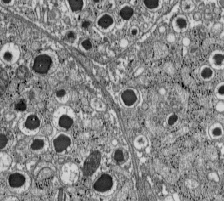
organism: C57BL Mouse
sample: Pancreatic islet